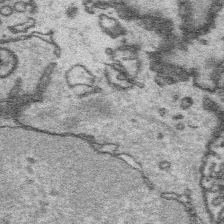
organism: Platynereis dumerilii